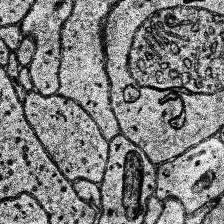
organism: Human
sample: Temporal Lobe